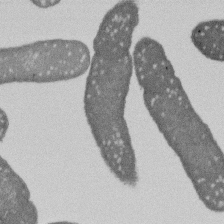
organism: E. coli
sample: Bacterial nucleoid